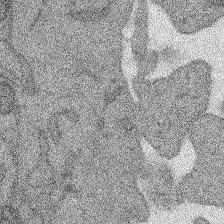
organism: Human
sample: HeLa cells